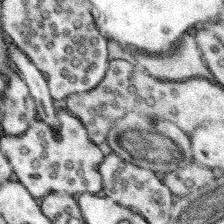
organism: Mouse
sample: Somatosensory cortex neuropil